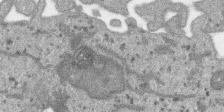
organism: Human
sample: Lung epithelial cells infected with SARS-CoV-2